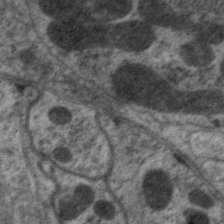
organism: C. elegans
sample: Pharynx